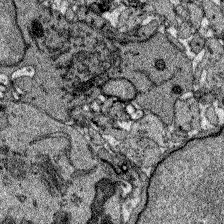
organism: Zebrafish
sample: Larval olfactory bulb